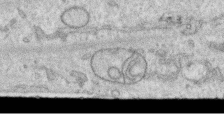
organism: Human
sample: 1205lu cells